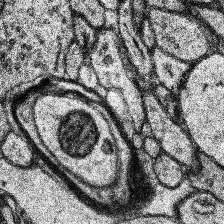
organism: Human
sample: Temporal Lobe